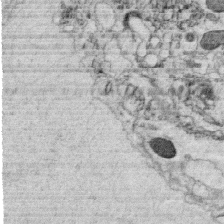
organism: C. elegans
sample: C. elegans oocyte; sperm cells